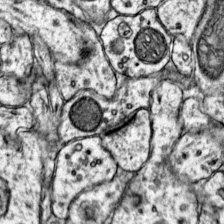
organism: Mouse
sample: Primary visual cortex